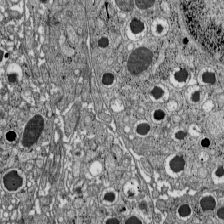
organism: C57BL Mouse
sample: Pancreatic islet